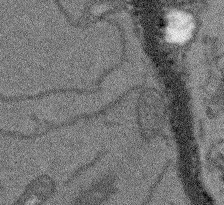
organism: Arabidopsis thaliana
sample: Root tip